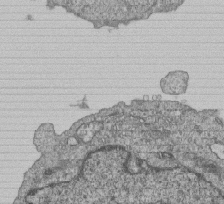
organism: Human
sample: MDA-MB-231 cells